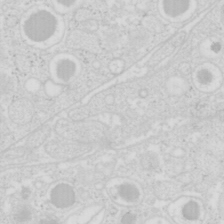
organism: Mouse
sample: Pancreas